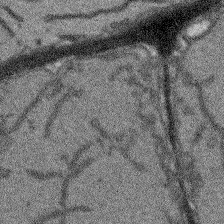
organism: Arabidopsis thaliana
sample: Root tip